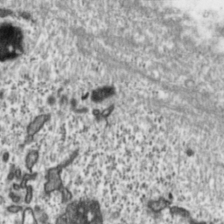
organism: Toxoplasma gondii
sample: Parasites in a vacuole inside a host cell